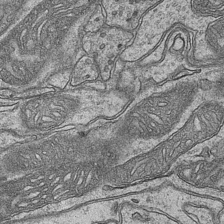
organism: Mouse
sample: CA1 Hippocampus